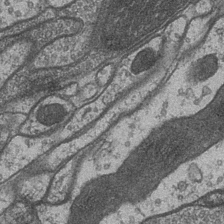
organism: Drosophila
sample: Optic medulla